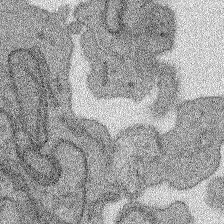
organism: Human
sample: HeLa cells